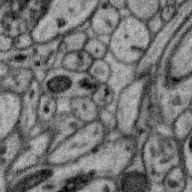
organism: Zebra finch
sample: Brain